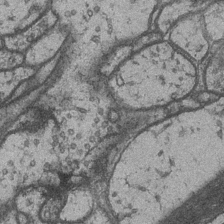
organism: Drosophila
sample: Optic medulla